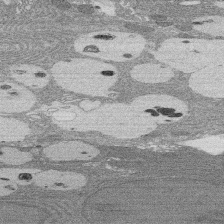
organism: Rat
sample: Salivary granule